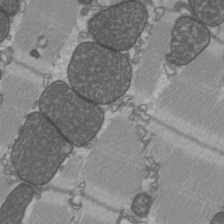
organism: C57BL Mouse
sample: Heart